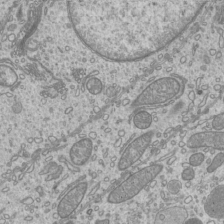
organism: Mouse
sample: Cilia; mouse epididymis